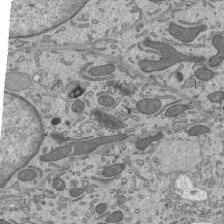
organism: Mouse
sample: Mouse epididymis efferent ductule cilia